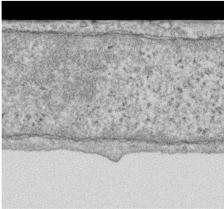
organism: Human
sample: Centriole in RPE cells